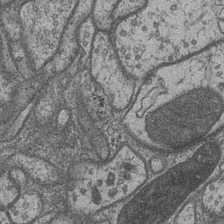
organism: Drosophila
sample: Optic medulla